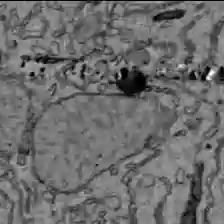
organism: C57BL Mouse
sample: Liver